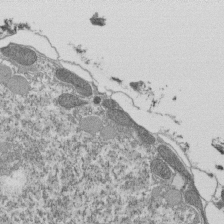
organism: Tetrahymena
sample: Cilia in tetrahymena